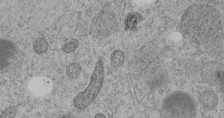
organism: C. elegans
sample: C. elegans embryo early stage